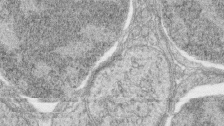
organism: Zebrafish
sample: synaptic ribbons in rod cells and cone cells